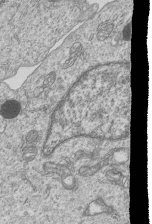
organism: Human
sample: MDA-MB-231 cells